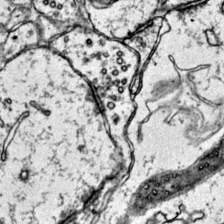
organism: Mouse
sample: Primary visual cortex